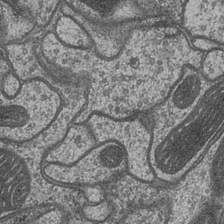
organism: Drosophila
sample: Optic medulla